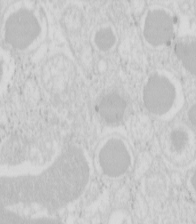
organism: Mouse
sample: Pancreas